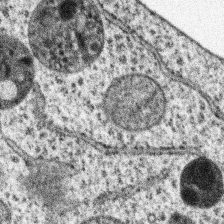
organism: Human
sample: HeLa cells